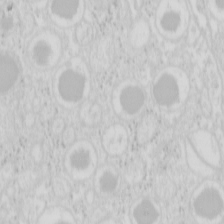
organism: Mouse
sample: Pancreas